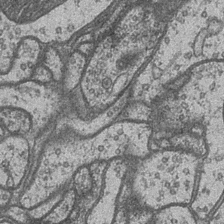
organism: Drosophila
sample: Optic medulla